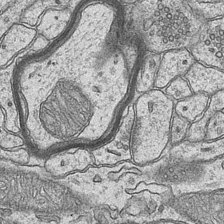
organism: Mouse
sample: CA1 Hippocampus